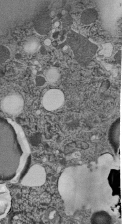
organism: C. elegans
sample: C. elegans pharynx